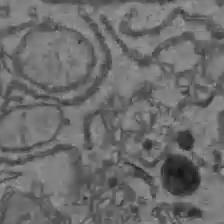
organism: C57BL Mouse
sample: Liver